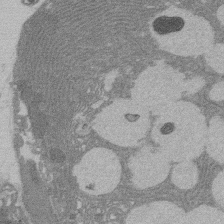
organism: Rat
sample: Salivary granule